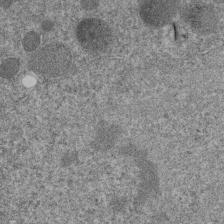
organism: C. elegans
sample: C. elegans embryo early stage